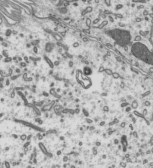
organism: Mouse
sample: Mouse epididymis efferent ductule cilia